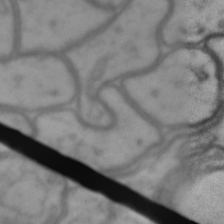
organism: Drosophila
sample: Brain